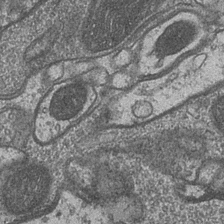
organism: Drosophila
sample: Optic medulla